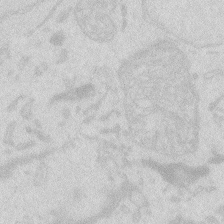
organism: Zebrafish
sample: Macrophage